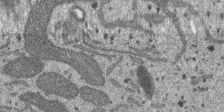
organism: Human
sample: Lung epithelial cells infected with SARS-CoV-2